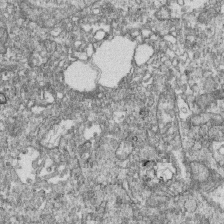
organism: Human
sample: HeLa cell HIV synapse